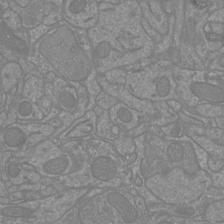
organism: Mouse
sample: Cortical neurons